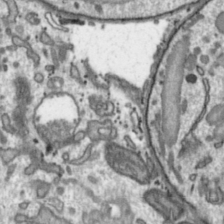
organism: Toxoplasma gondii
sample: Parasites in a vacuole inside a host cell